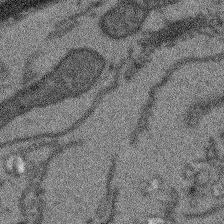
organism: Arabidopsis thaliana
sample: Root tip